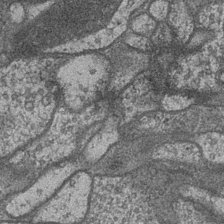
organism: Drosophila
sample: Optic medulla